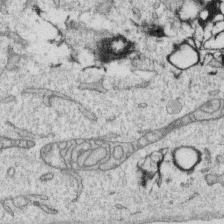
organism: Human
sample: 1205lu cells